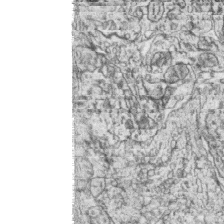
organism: Zebrafish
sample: synaptic ribbons in rod cells and cone cells